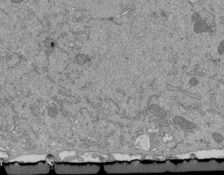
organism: Mouse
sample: ED-1 cell nuclei; centrioles